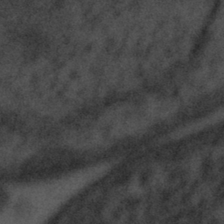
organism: Tuwongella immobilis